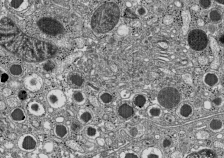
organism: C57BL Mouse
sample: Pancreatic islet